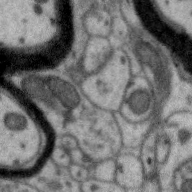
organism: Zebra finch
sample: Brain